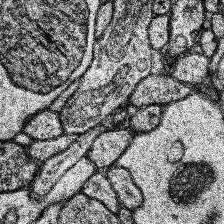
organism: Human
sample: Temporal Lobe